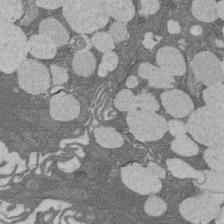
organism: Rat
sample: Salivary granule